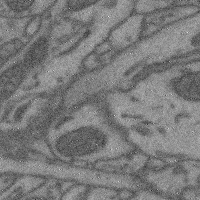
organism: Mouse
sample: Cerebral cortex